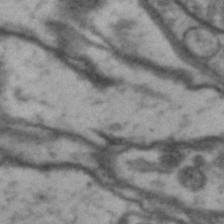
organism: Drosophila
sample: Brain